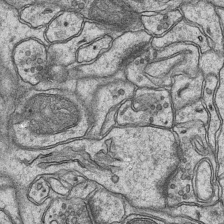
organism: Mouse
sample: CA1 Hippocampus